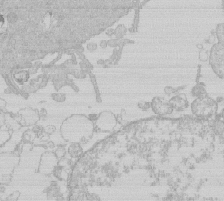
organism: Human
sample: Macrophage cells